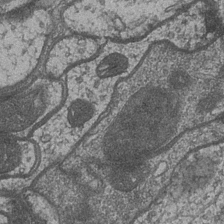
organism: Drosophila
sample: Optic medulla